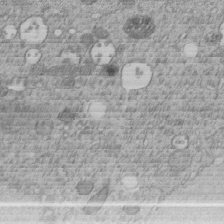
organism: C. elegans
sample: C. elegans embryo early stage